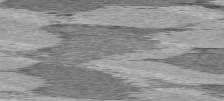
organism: C57BL Mouse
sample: Heart